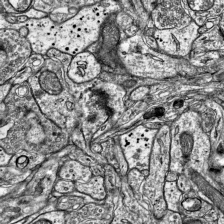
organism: Mouse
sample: Visual Cortex